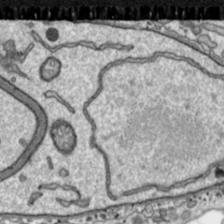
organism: Toxoplasma gondii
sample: Parasites in a vacuole inside a host cell